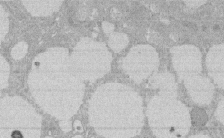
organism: Rat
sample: Salivary granule